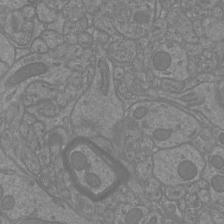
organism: Mouse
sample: Cortical neurons